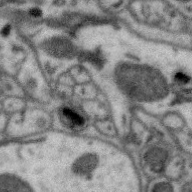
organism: Zebra finch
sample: Brain